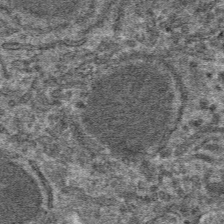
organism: Mouse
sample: Mouse hepatocytes